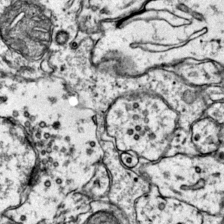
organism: Mouse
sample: Primary visual cortex